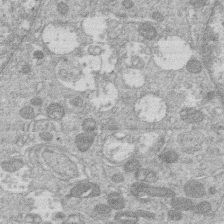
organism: Human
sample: Macrophage cells